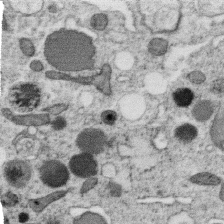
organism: C. elegans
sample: C. elegans oocyte; sperm cells